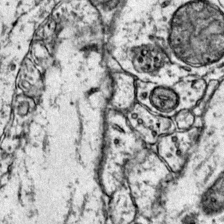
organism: Mouse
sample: Primary visual cortex